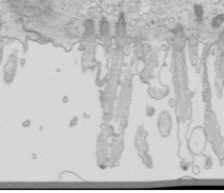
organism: Mouse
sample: Multiciliated cells